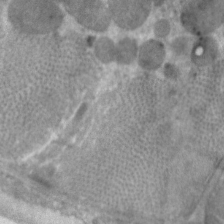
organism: C. elegans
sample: Pharynx